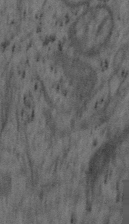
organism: Human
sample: HeLa cells